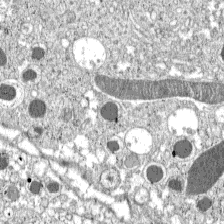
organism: C57BL Mouse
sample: Pancreatic islet